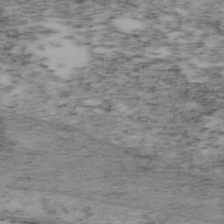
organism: Mouse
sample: OT-I killer T cells with ID8 ovarian cancer cells